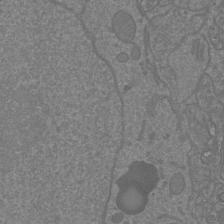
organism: Mouse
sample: Cortical neurons